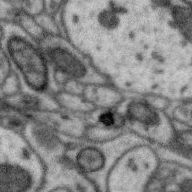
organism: Zebra finch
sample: Brain